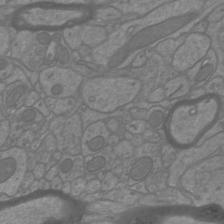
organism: Mouse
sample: Cortical neurons